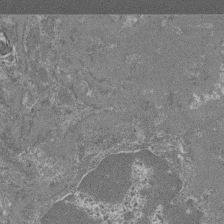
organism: Mouse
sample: Glomerulus